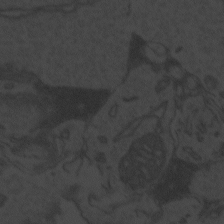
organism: Zebrafish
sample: Macrophage infected with Toxoplasma gondii